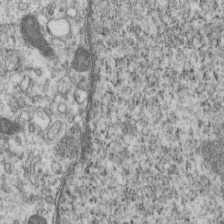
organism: Mouse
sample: Centriole in ependymal cells